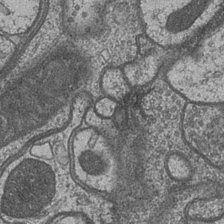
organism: Drosophila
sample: Optic medulla